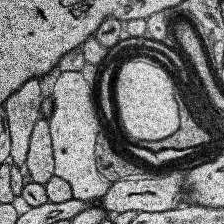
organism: Human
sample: Temporal Lobe